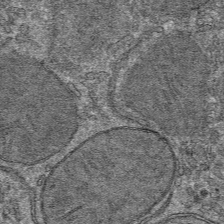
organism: Mouse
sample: Mouse hepatocytes